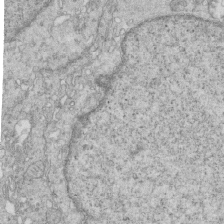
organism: Mouse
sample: Multiciliated cells